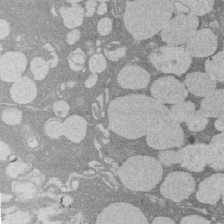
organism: Rat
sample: Salivary granule